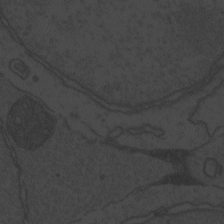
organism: Zebrafish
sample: Macrophage infected with Toxoplasma gondii